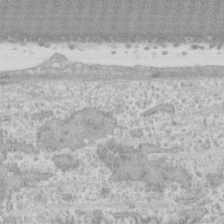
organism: Human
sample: CRL-1474